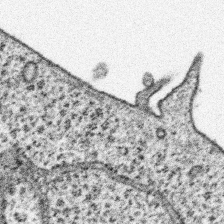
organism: Human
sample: HeLa cells